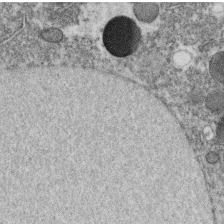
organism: C. elegans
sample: C. elegans oocyte; sperm cells